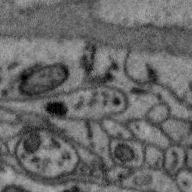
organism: Zebra finch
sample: Brain